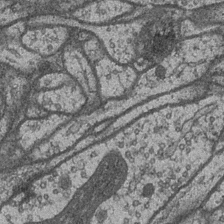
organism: Drosophila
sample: Optic medulla